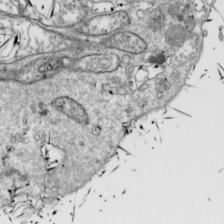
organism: Drosophila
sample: Cell division; meiosis; drosophila spermatocytes